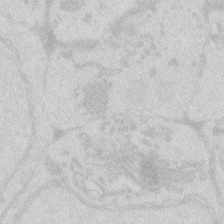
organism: Zebrafish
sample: Macrophage